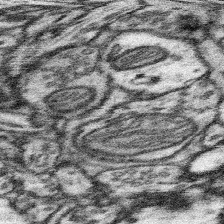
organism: Mouse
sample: Somatosensory cortex neuropil